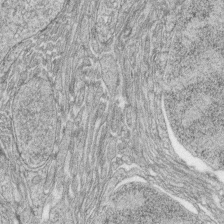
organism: Zebrafish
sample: synaptic ribbons in rod cells and cone cells